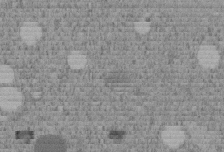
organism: C. elegans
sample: C. elegans embryo early stage